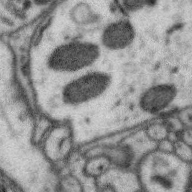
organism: Zebra finch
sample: Brain